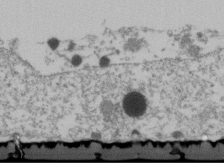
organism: Human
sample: U2-OS cells